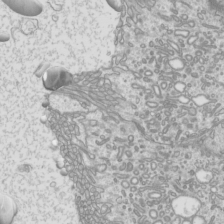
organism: Mouse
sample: Cilia; mouse epididymis